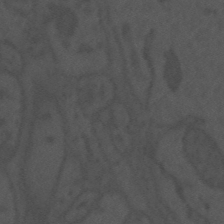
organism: Mouse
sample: Suprachiasmatic nucleus